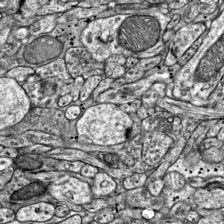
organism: Mouse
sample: Visual Cortex